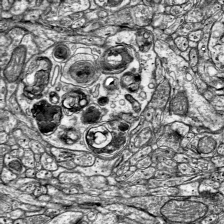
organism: Mouse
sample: Visual Cortex